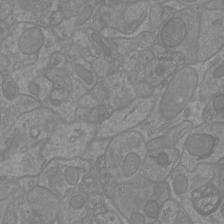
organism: Mouse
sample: Cortical neurons